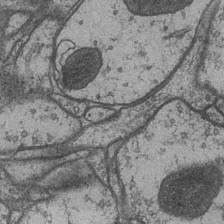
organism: Drosophila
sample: Optic medulla